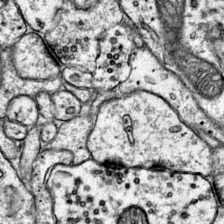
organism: Mouse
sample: Primary visual cortex